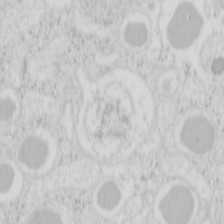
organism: Mouse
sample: Pancreas